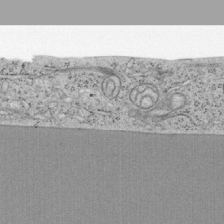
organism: Human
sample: HeLa cells